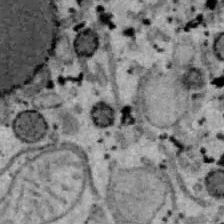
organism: Mouse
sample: Liver from an obese (ob/ob) mouse